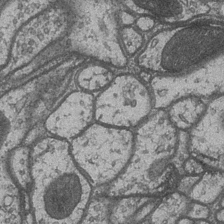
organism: Drosophila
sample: Optic medulla